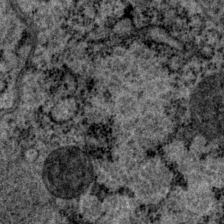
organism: P. pacificus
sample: Pharynx